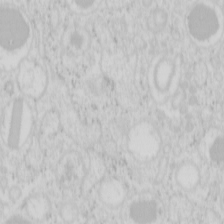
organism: Mouse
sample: Pancreas